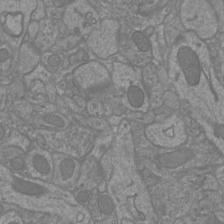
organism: Mouse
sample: Cortical neurons